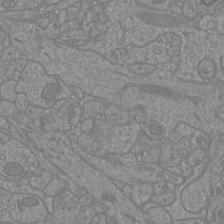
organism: Mouse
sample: Cortical neurons